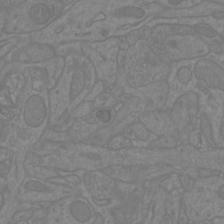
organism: Mouse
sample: Cortical neurons